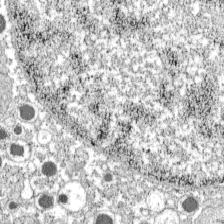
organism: C57BL Mouse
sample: Pancreatic islet